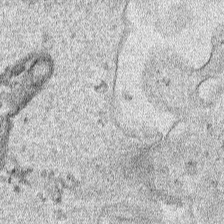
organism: Human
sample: Mitochondria in HCT116 cells